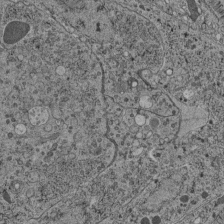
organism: C. elegans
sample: C. elegans pharynx